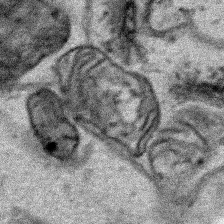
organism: Human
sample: Mitochondria in HCT116 cells